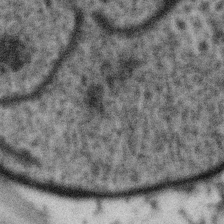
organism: Gemmata obscuriglobus